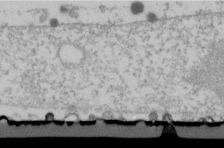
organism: Human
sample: U2-OS cells